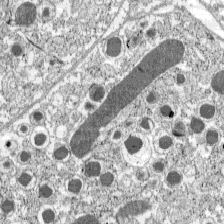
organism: C57BL Mouse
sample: Pancreatic islet